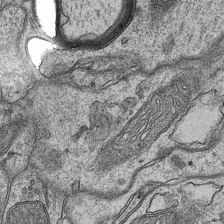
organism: Mouse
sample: CA1 Hippocampus